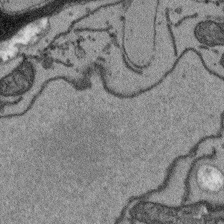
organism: Arabidopsis thaliana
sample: Root tip